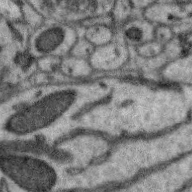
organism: Zebra finch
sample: Brain